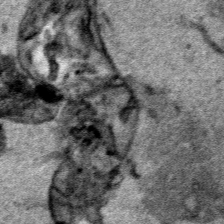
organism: Human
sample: Mitochondria in HCT116 cells